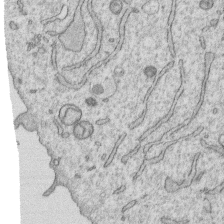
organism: Human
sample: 1205lu cells